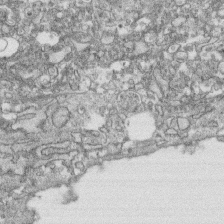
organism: Human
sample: CRL-1474